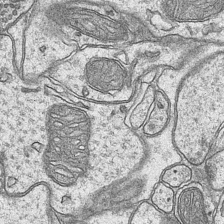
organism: Mouse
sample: CA1 Hippocampus